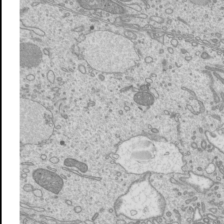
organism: Mouse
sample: Cilia; mouse epididymis